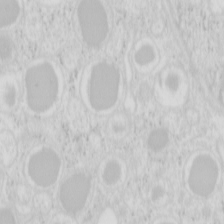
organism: Mouse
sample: Pancreas